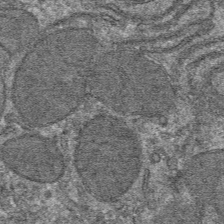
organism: Mouse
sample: Mouse hepatocytes